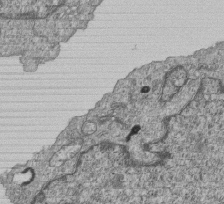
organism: Human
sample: MDA-MB-231 cells